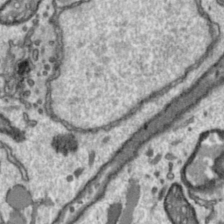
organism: Toxoplasma gondii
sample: Parasites in a vacuole inside a host cell